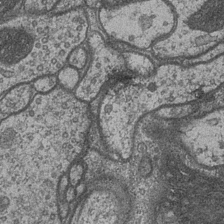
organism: Drosophila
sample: Optic medulla